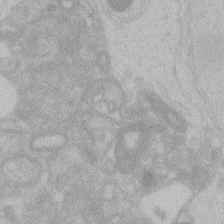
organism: Zebrafish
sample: Macrophage infected with Toxoplasma gondii